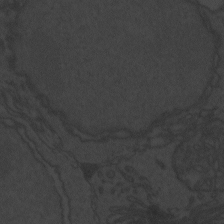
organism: Zebrafish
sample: Macrophage infected with Toxoplasma gondii